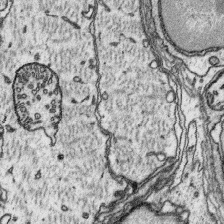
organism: Platynereis dumerilii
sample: Parapodia